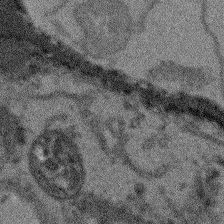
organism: Arabidopsis thaliana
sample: Root tip